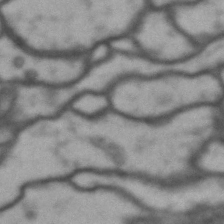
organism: Drosophila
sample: Brain